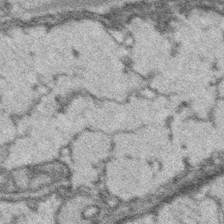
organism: Platynereis dumerilii